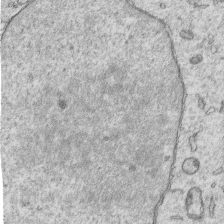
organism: Human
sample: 1205lu cells